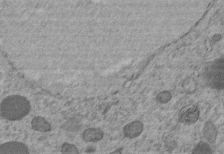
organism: C. elegans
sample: C. elegans embryo early stage